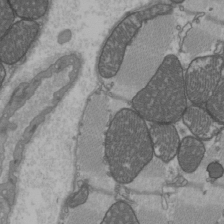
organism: C57BL Mouse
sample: Heart